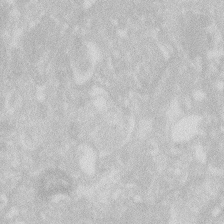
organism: Zebrafish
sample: Macrophage